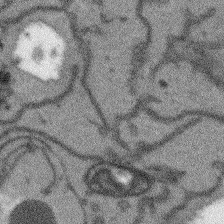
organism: Arabidopsis thaliana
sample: Root tip